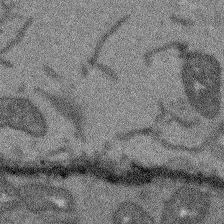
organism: Arabidopsis thaliana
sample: Root tip